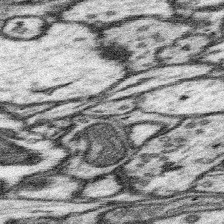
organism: Mouse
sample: Somatosensory cortex neuropil